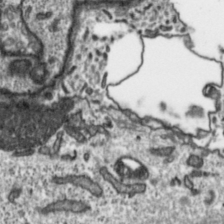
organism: Toxoplasma gondii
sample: Parasites in a vacuole inside a host cell